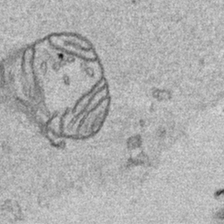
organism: Human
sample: Mitochondria in HCT116 cells